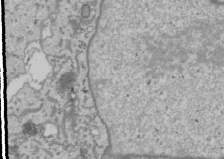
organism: Human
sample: Mitochondria in U2OS cells